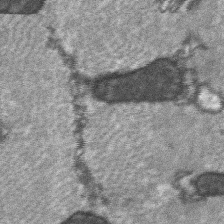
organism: C57BL Mouse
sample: Soleus